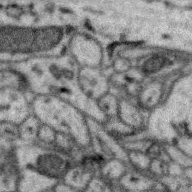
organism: Zebra finch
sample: Brain